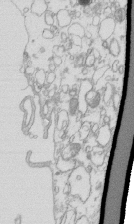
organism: Mouse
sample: Macrophages